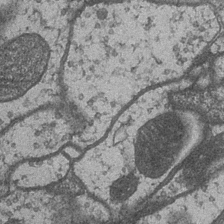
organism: Drosophila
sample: Optic medulla